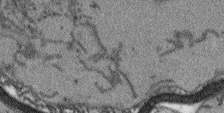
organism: Arabidopsis thaliana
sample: Root tip